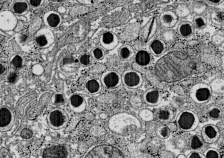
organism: C57BL Mouse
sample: Pancreatic islet